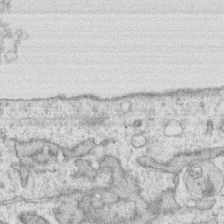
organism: Human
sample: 1205lu cells